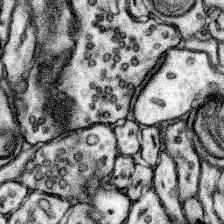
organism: Mouse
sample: Somatosensory cortex neuropil